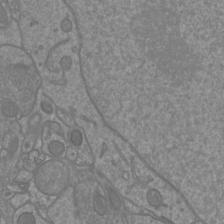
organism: Mouse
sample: Cortical neurons